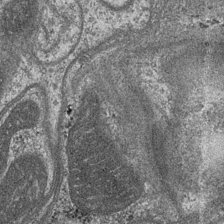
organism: Drosophila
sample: Optic medulla